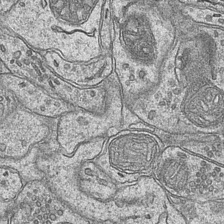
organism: Mouse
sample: CA1 Hippocampus